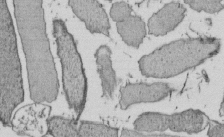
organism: E. coli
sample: Bacterial nucleoid